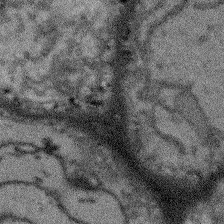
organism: Arabidopsis thaliana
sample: Root tip